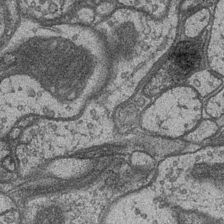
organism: Drosophila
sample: Optic medulla